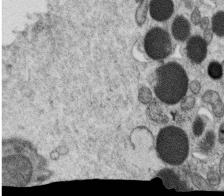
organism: C. elegans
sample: C. elegans oocyte; sperm cells